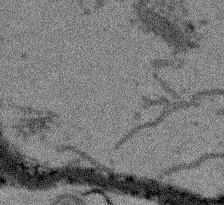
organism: Arabidopsis thaliana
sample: Root tip